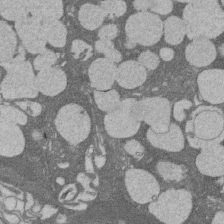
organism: Rat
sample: Salivary granule